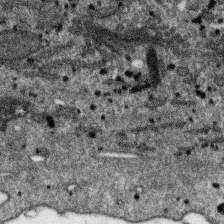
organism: Human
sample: Lung epithelial cells infected with SARS-CoV-2